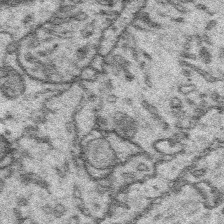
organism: Platynereis dumerilii